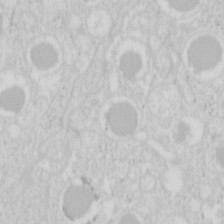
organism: Mouse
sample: Pancreas